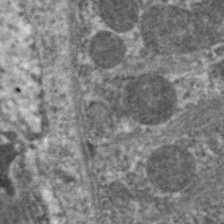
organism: C. elegans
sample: Pharynx